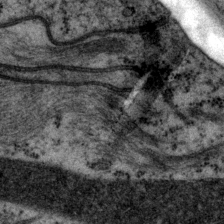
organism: P. pacificus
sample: Pharynx